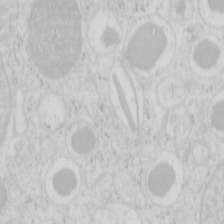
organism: Mouse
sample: Pancreas